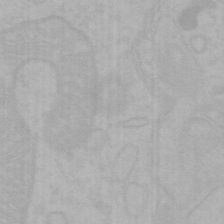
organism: Mouse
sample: Choroid plexus